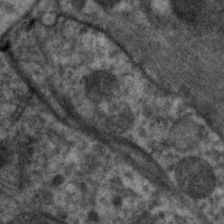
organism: C. elegans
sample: Pharynx